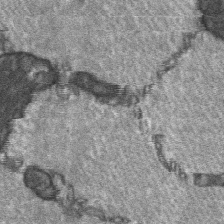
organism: C57BL Mouse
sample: Soleus